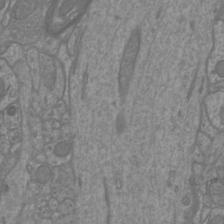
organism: Mouse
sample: Cortical neurons